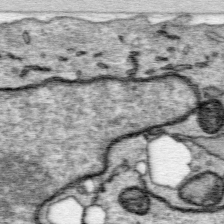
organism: Human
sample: HeLa cells